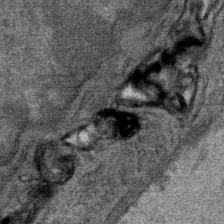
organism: Mouse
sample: Mouse Salivary gland